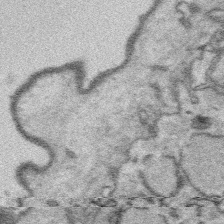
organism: Platynereis dumerilii